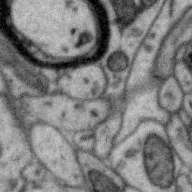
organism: Zebra finch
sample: Brain